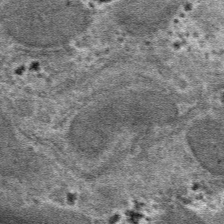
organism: Mouse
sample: Mouse hepatocytes